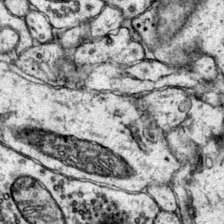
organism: Mouse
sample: Primary visual cortex